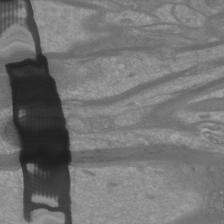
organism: Mouse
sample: Cortical neurons